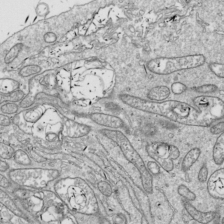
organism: Drosophila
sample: Cell division; meiosis; drosophila spermatocytes